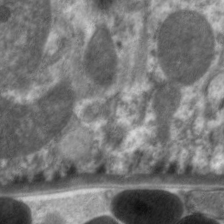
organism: C. elegans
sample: Pharynx